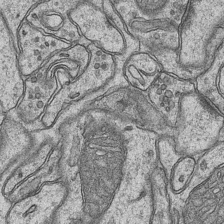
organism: Mouse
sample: CA1 Hippocampus